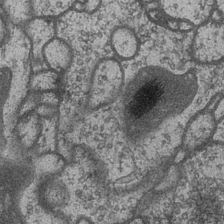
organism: Drosophila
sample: Optic medulla